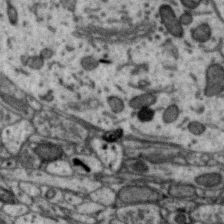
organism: Zebra finch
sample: Brain